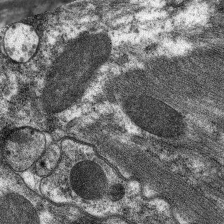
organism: C. elegans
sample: Pharynx